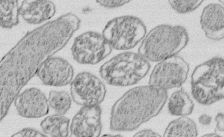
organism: E. coli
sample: Bacterial nucleoid